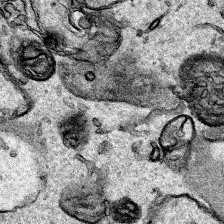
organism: Human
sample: Mitochondria in HCT116 cells